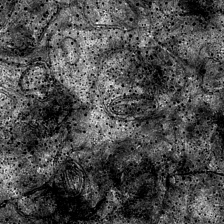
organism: Mouse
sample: CA1 Hippocampus